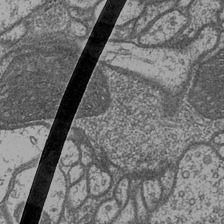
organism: Drosophila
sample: Optic medulla